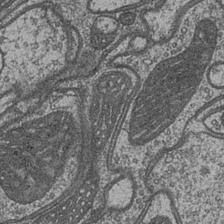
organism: Drosophila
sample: Optic medulla